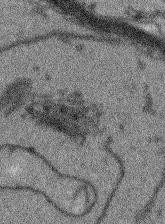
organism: Arabidopsis thaliana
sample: Root tip